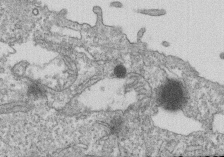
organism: Human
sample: HeLa cell HIV synapse